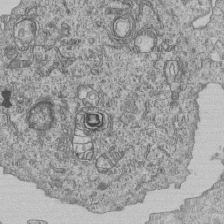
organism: Human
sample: MDA-MB-231 cells